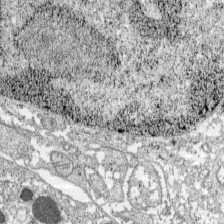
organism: C57BL Mouse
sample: Pancreatic islet